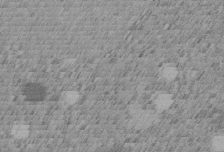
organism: C. elegans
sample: C. elegans embryo early stage